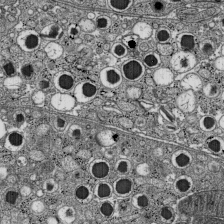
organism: C57BL Mouse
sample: Pancreatic islet